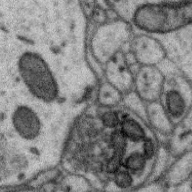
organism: Zebra finch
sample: Brain